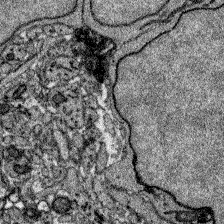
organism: Zebrafish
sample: Larval olfactory bulb